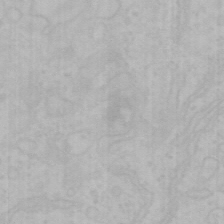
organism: Mouse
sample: Choroid plexus